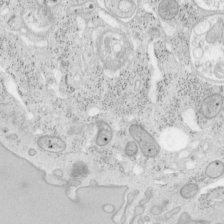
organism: Mouse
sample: OT-I killer T cells with ID8 ovarian cancer cells